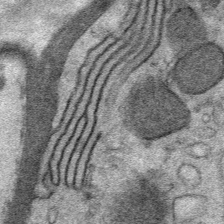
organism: Mouse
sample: Mouse Salivary gland